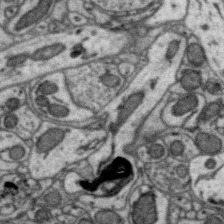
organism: Zebra finch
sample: Brain